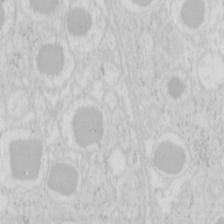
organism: Mouse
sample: Pancreas